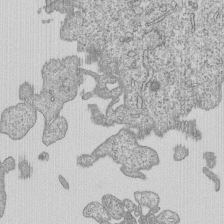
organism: Human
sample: MDA-MB-231 cells